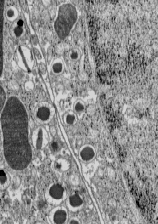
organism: C57BL Mouse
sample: Pancreatic islet